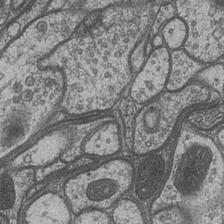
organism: Drosophila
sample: Optic medulla